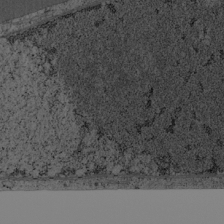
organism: African green monkey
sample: COS-7 cells